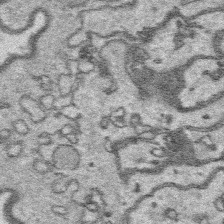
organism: Platynereis dumerilii